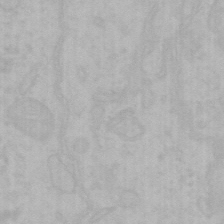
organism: Mouse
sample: Choroid plexus